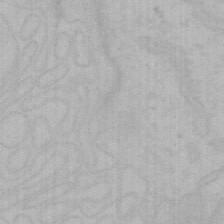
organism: Mouse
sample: Choroid plexus